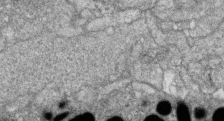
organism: Zebrafish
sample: Cilia; retinal pigment epithelium